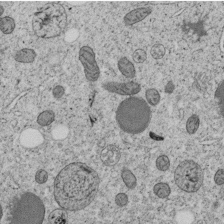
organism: C. elegans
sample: C. elegans embryo early stage